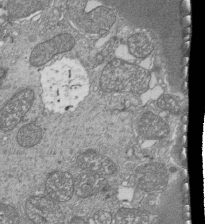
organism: Tetrahymena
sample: Cilia in tetrahymena